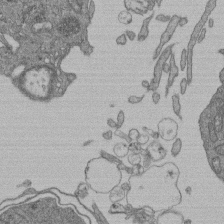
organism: Human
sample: Retinal organoid Rod and Cone cells